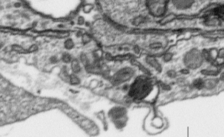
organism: Toxoplasma gondii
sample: Parasites in a vacuole inside a host cell